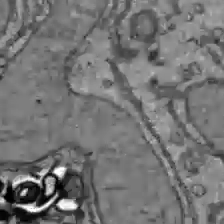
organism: C57BL Mouse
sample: Liver